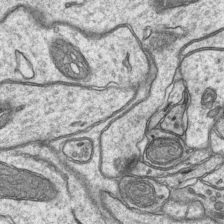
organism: Mouse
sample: CA1 Hippocampus